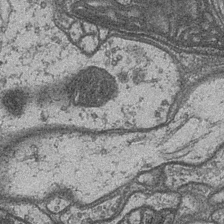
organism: Drosophila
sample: Optic medulla